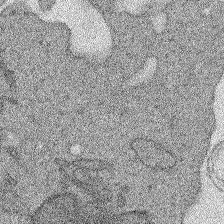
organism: Human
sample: HeLa cells